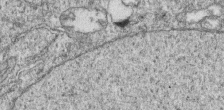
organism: Human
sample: HeLa cell HIV synapse